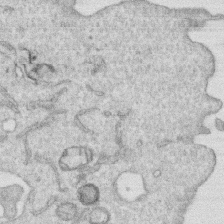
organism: Human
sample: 1205lu cells